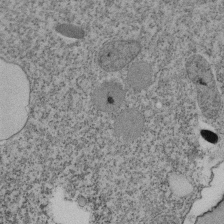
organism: Tetrahymena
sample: Cilia in tetrahymena